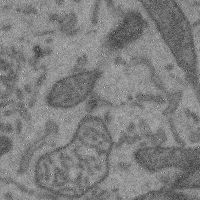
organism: Mouse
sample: Cerebral cortex